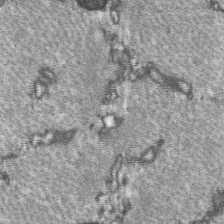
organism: C57BL Mouse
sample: Soleus